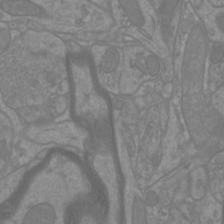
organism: Mouse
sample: Cortical neurons